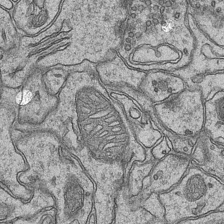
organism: Mouse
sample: CA1 Hippocampus